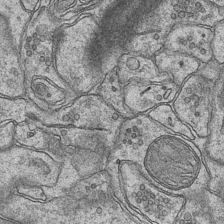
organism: Mouse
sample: CA1 Hippocampus